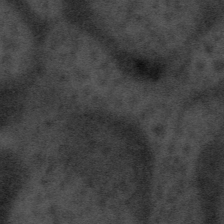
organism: Tuwongella immobilis